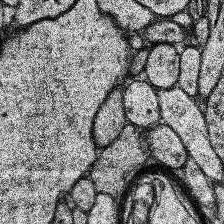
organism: Human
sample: Temporal Lobe